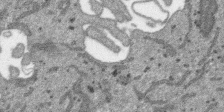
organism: Human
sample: Lung epithelial cells infected with SARS-CoV-2